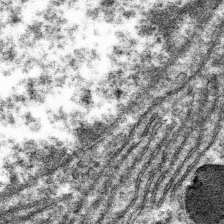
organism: Mouse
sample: Mouse hepatocytes